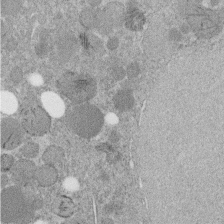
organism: C. elegans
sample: C. elegans embryo early stage